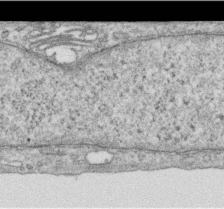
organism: Human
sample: Centriole in RPE cells